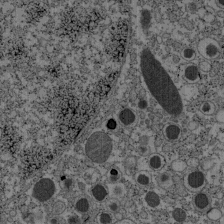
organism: C57BL Mouse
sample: Pancreatic islet